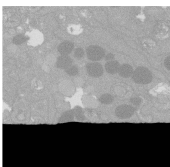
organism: C. elegans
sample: C. elegans oocyte; sperm cells